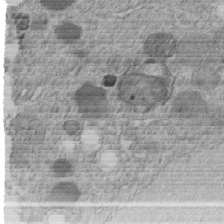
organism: C. elegans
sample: C. elegans embryo early stage